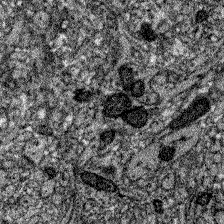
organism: Zebrafish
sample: Larval olfactory bulb